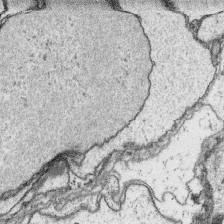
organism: Platynereis dumerilii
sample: Parapodia